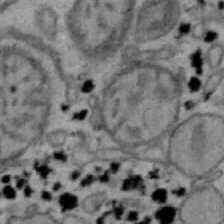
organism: Mouse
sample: Liver